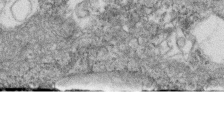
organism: Zebrafish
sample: Cilia; retinal pigment epithelium